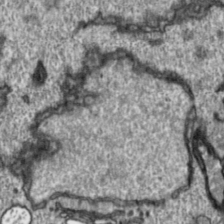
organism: Toxoplasma gondii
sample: Parasites in a vacuole inside a host cell